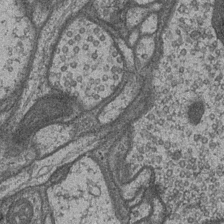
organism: Drosophila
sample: Optic medulla